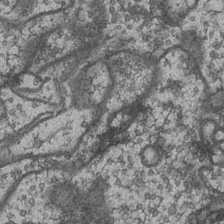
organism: Drosophila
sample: Optic medulla